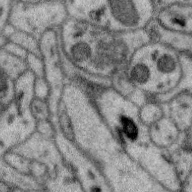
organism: Zebra finch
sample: Brain